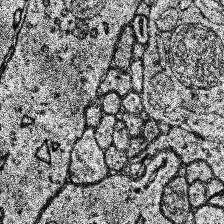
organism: Human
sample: Temporal Lobe